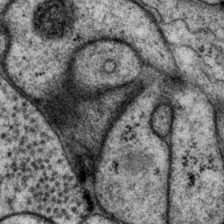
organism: P. pacificus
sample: Pharynx